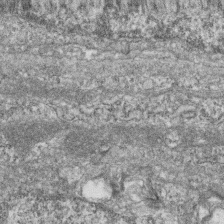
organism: Zebrafish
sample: Cilia; retinal pigment epithelium